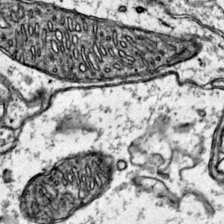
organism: Mouse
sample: Primary visual cortex